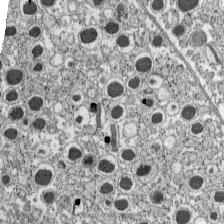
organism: C57BL Mouse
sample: Pancreatic islet